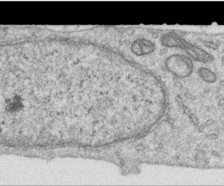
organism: Human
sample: Centriole in RPE cells